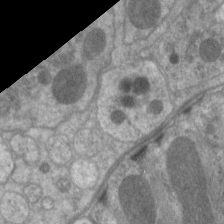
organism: C. elegans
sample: Pharynx